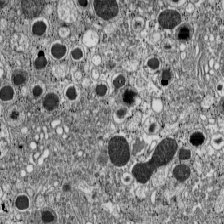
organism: C57BL Mouse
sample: Pancreatic islet